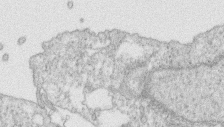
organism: Human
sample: HeLa cell HIV synapse